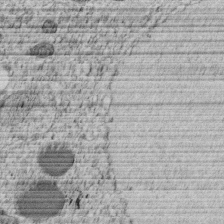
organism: C. elegans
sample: C. elegans embryo early stage